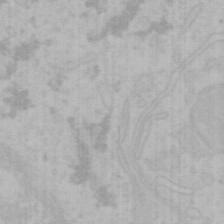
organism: Mouse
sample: Choroid plexus